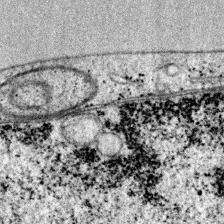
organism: Human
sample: HeLa cells